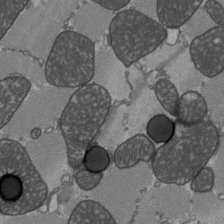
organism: C57BL Mouse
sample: Heart